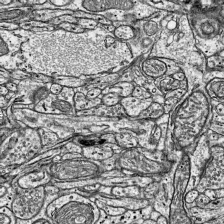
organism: Mouse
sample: Visual Cortex